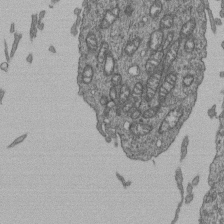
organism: Human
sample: Retinal organoid Rod and Cone cells